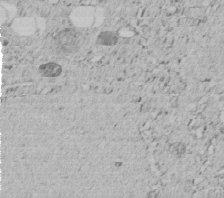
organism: C. elegans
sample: C. elegans embryo early stage